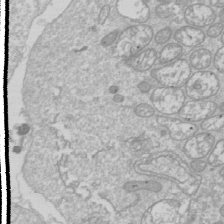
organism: Drosophila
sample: Cell division; meiosis; drosophila spermatocytes